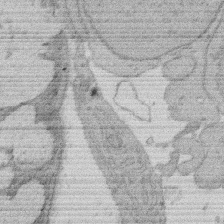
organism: Rat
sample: Salivary granule